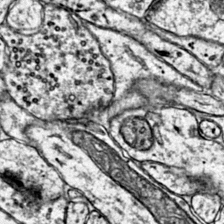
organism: Mouse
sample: Primary visual cortex